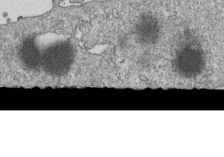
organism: Human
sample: HeLa cell HIV synapse